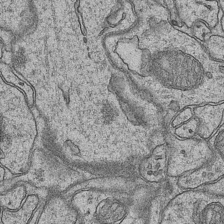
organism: Mouse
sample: CA1 Hippocampus